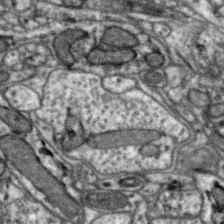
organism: Zebra finch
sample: Brain